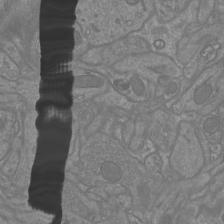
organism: Mouse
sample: Cortical neurons